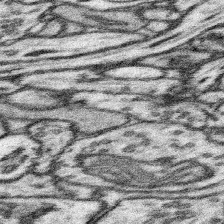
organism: Mouse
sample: Somatosensory cortex neuropil